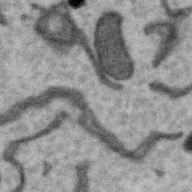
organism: Zebra finch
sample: Brain